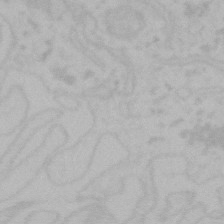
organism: Mouse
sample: Choroid plexus